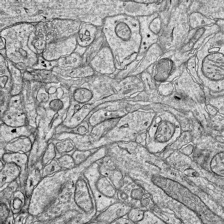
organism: Mouse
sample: Visual Cortex